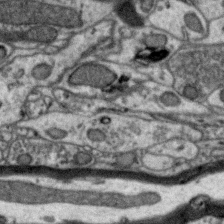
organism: Zebra finch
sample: Brain